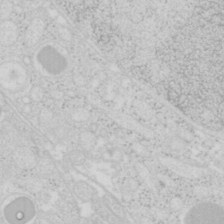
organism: Mouse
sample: Pancreas